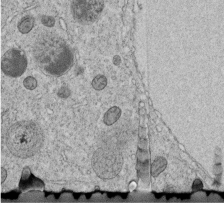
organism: C. elegans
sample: C. elegans embryo early stage